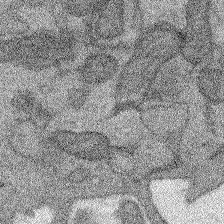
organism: Human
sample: HeLa cells